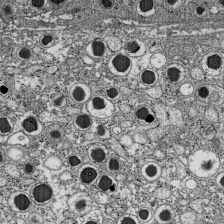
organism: C57BL Mouse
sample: Pancreatic islet